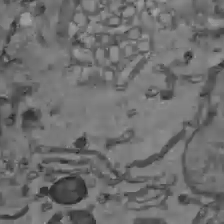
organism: C57BL Mouse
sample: Liver